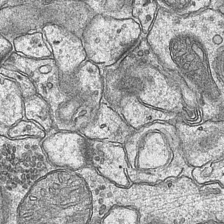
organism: Mouse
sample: CA1 Hippocampus